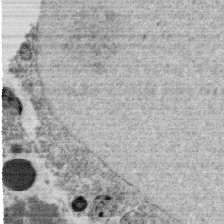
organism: C. elegans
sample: C. elegans oocyte; sperm cells